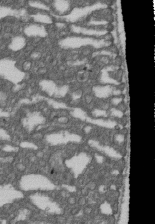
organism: Drosophila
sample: Nephrocyte